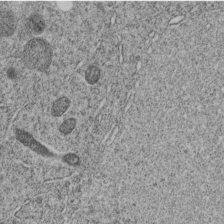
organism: C. elegans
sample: C. elegans embryo early stage